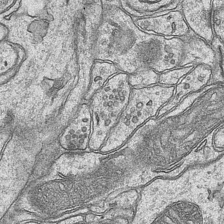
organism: Mouse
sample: CA1 Hippocampus